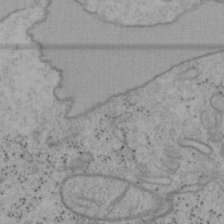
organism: Human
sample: HeLa cells